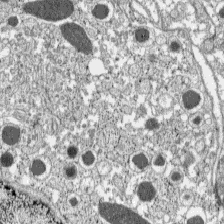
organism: C57BL Mouse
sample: Pancreatic islet